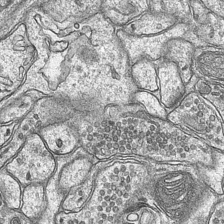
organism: Mouse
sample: CA1 Hippocampus